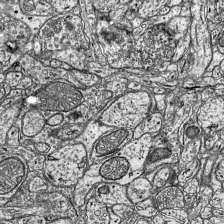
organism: Mouse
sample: Visual Cortex